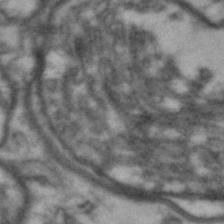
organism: Drosophila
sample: Brain